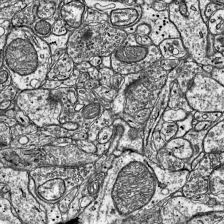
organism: Mouse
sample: Visual Cortex